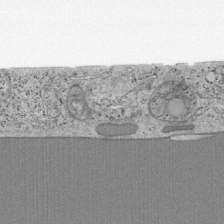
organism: Human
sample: HeLa cells